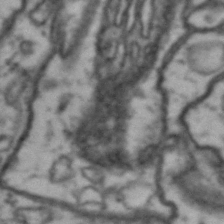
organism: Drosophila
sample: Brain